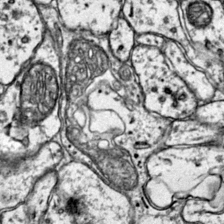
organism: Mouse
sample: Primary visual cortex